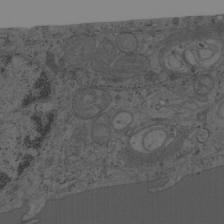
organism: Human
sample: HeLa cells